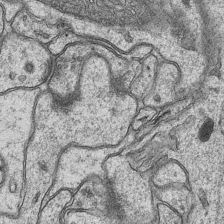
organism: Mouse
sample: CA1 Hippocampus